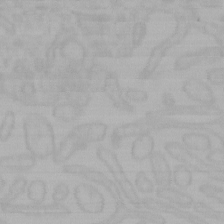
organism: Mouse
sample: Choroid plexus